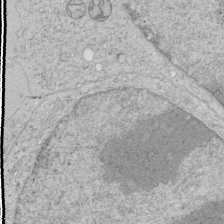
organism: Human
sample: Mitochondria in HCT116 cells